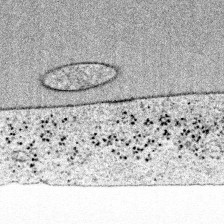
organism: Human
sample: HeLa cells